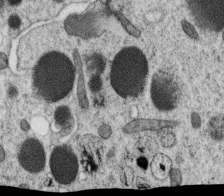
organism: C. elegans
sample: C. elegans oocyte; sperm cells